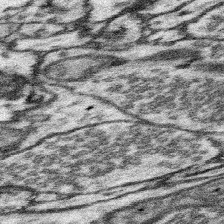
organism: Mouse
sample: Somatosensory cortex neuropil